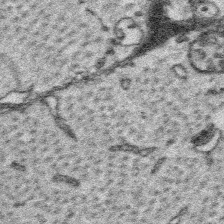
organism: Platynereis dumerilii